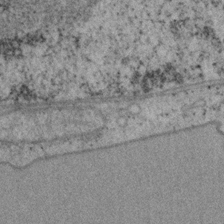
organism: Human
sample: HeLa cells